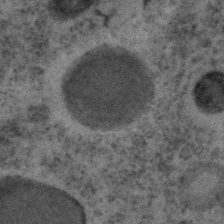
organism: C. elegans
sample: C. elegans embryo